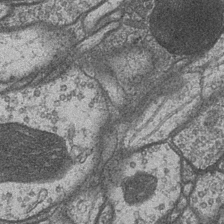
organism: Drosophila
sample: Optic medulla